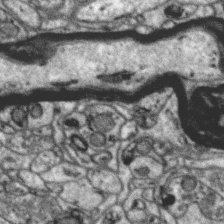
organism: Zebra finch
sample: Brain